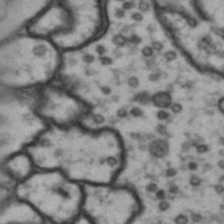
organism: Drosophila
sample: Brain